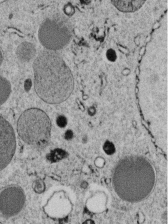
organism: C. elegans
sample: C. elegans embryo early stage